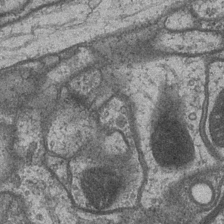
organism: Drosophila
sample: Optic medulla